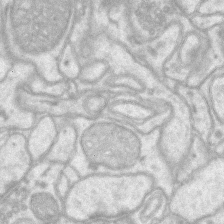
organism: Mouse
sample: CA1 Hippocampus